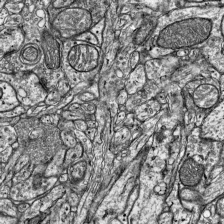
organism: Mouse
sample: Visual Cortex